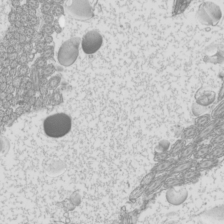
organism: Mouse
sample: Cilia; mouse epididymis